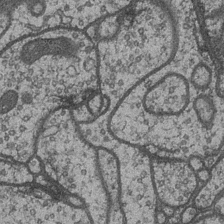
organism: Drosophila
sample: Optic medulla